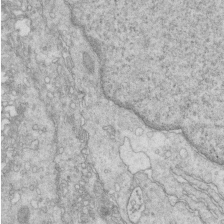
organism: Mouse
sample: Multiciliated cells